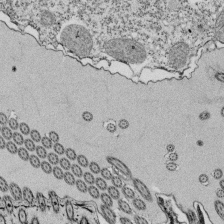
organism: Tetrahymena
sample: Cilia in tetrahymena